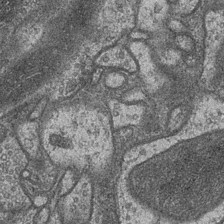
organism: Drosophila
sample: Optic medulla